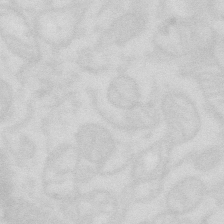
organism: Human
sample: HeLa cells